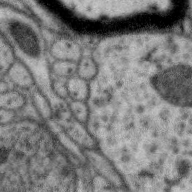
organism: Zebra finch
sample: Brain